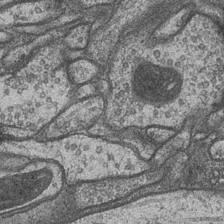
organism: Drosophila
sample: Optic medulla